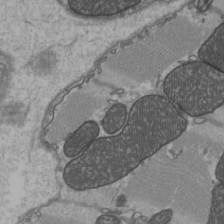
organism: C57BL Mouse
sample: Heart